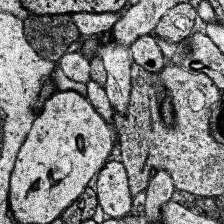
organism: Human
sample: Temporal Lobe